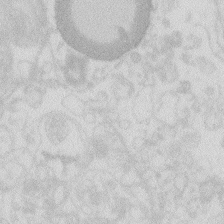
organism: Zebrafish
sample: Macrophage